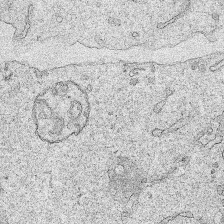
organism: Human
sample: Mitochondria in HCT116 cells